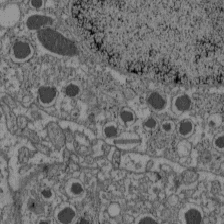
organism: C57BL Mouse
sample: Pancreatic islet